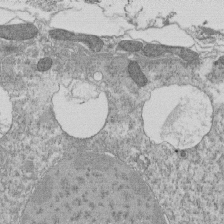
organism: Tetrahymena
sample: Cilia in tetrahymena